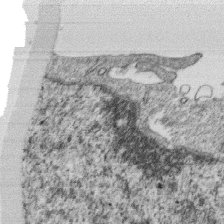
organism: African green monkey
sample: Vero E6 cells infected with SARS-CoV-2